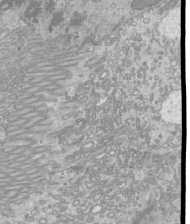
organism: Mouse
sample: Cilia; mouse epididymis